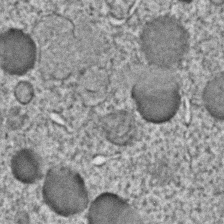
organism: C. elegans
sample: C. elegans embryo